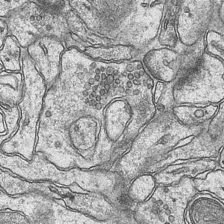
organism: Mouse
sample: CA1 Hippocampus